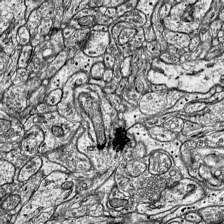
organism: Mouse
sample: Visual Cortex